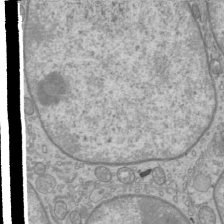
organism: Mouse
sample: Cilia; mouse epididymis